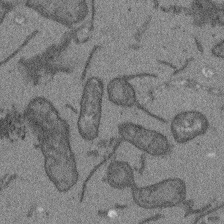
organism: Arabidopsis thaliana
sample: Root tip